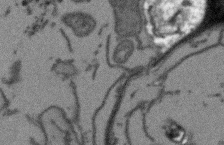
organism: Arabidopsis thaliana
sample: Root tip